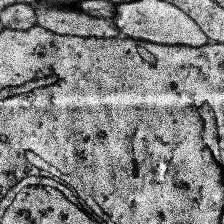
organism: Human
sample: Temporal Lobe